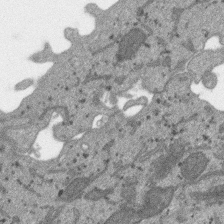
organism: Human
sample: Lung epithelial cells infected with SARS-CoV-2